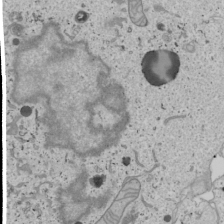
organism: Human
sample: Mitochondria in U2OS cells